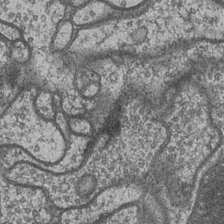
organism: Drosophila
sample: Optic medulla